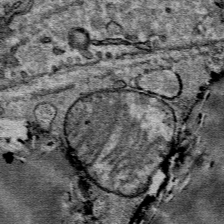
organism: Mouse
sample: Mouse Salivary gland